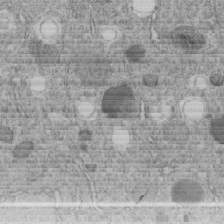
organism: C. elegans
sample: C. elegans embryo early stage